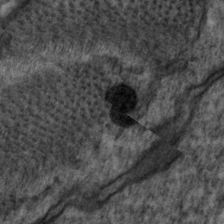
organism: P. pacificus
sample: Pharynx